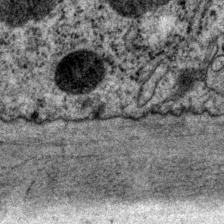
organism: P. pacificus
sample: Pharynx